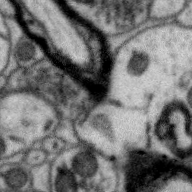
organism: Zebra finch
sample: Brain